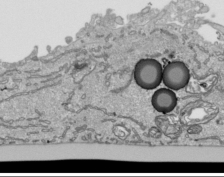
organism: Human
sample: Mitochondria in HCT116 cells